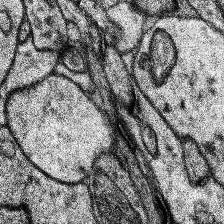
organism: Human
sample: Temporal Lobe